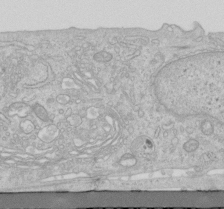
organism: Human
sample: Centriole in RPE cells